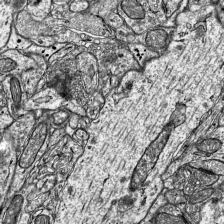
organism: Mouse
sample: Visual Cortex